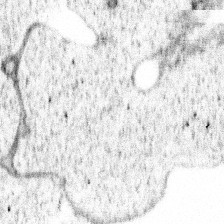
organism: Human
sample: HeLa cells